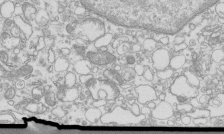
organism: Mouse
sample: Macrophages